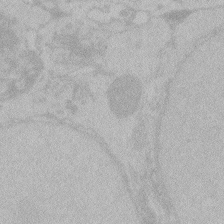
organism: Zebrafish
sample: Macrophage infected with Toxoplasma gondii